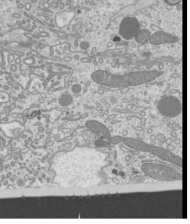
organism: Mouse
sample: Cilia; mouse epididymis